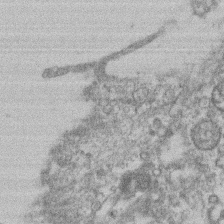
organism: Mouse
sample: T cell stromal cell synapse